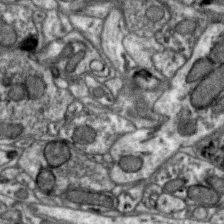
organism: Zebra finch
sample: Brain